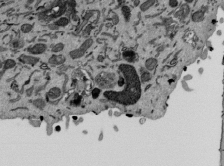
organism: Mouse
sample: ED-1 cell nuclei; centrioles